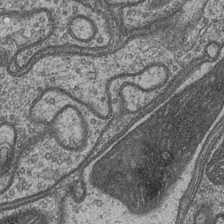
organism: Drosophila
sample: Optic medulla